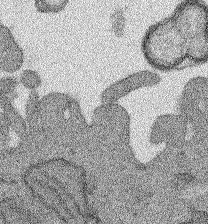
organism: Human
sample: HeLa cells